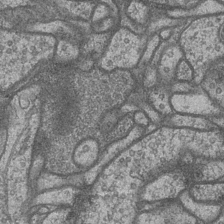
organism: Drosophila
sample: Optic medulla